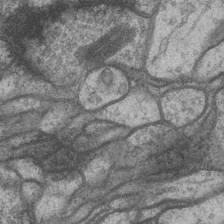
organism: Drosophila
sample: Optic medulla